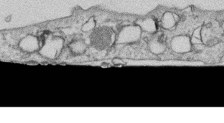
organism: Human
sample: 1205lu cells